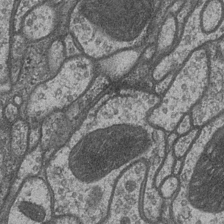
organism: Drosophila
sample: Optic medulla